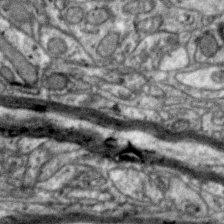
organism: Zebra finch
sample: Brain